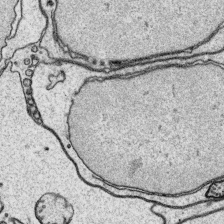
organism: Platynereis dumerilii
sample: Parapodia